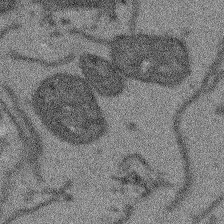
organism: Arabidopsis thaliana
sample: Root tip